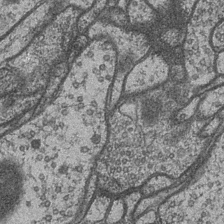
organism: Drosophila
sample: Optic medulla